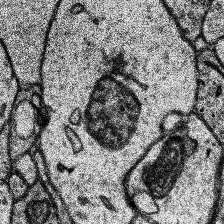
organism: Human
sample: Temporal Lobe